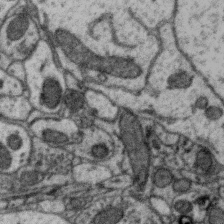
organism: Zebra finch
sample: Brain